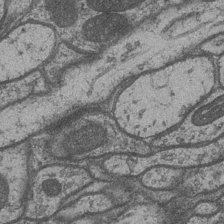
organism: Drosophila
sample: Optic medulla